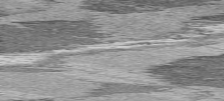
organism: C57BL Mouse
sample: Heart